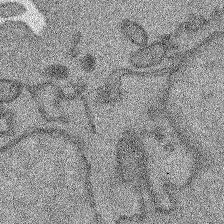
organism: Human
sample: HeLa cells